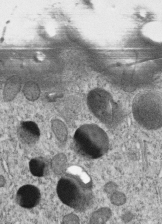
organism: C. elegans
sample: C. elegans embryo early stage